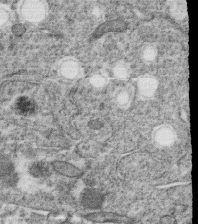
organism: C. elegans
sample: C. elegans oocyte; sperm cells